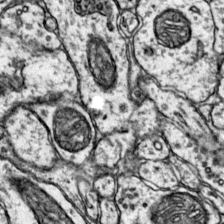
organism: Mouse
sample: Primary visual cortex